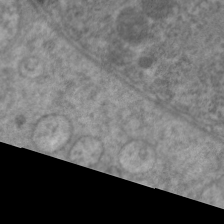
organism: C. elegans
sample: Pharynx